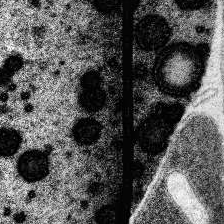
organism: Human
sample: Temporal Lobe